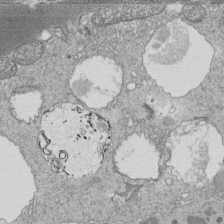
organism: Tetrahymena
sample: Cilia in tetrahymena